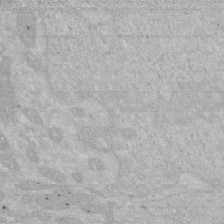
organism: Human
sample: HIV infected U937 cells